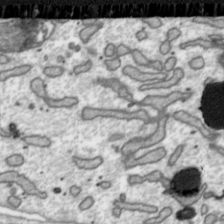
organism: Toxoplasma gondii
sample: Parasites in a vacuole inside a host cell